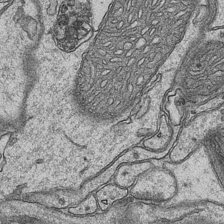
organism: Mouse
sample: CA1 Hippocampus